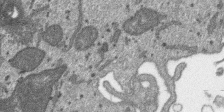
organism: Human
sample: Lung epithelial cells infected with SARS-CoV-2